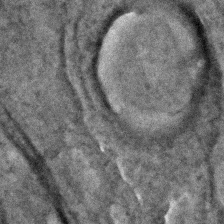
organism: C. elegans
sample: C. elegans embryo